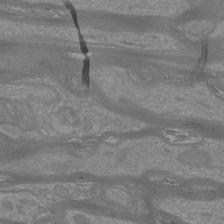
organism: Mouse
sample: Cortical neurons